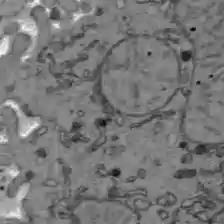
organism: C57BL Mouse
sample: Liver